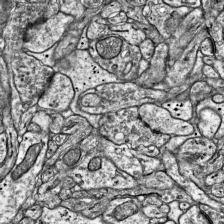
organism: Mouse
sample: Visual Cortex